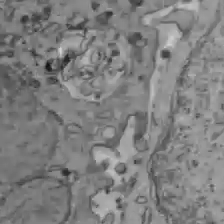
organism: C57BL Mouse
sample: Liver